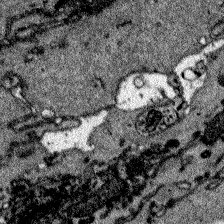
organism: Zebrafish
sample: Larval olfactory bulb